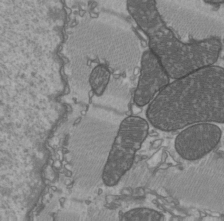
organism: C57BL Mouse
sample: Heart